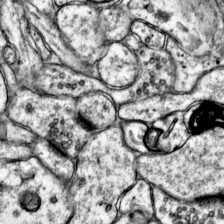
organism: Mouse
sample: Primary visual cortex